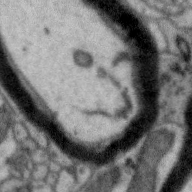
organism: Zebra finch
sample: Brain